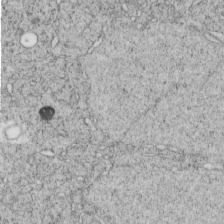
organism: C. elegans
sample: C. elegans embryo early stage